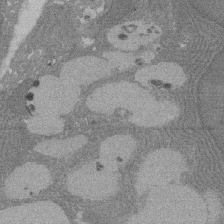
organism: Rat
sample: Salivary granule